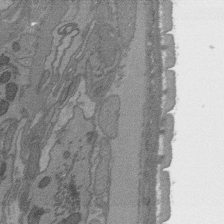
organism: C. elegans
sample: AFD neurons C. elegans